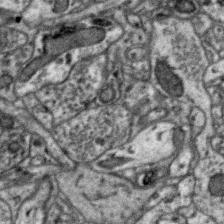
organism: Zebra finch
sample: Brain